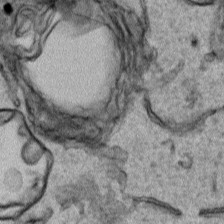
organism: Human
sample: Mitochondria in HCT116 cells